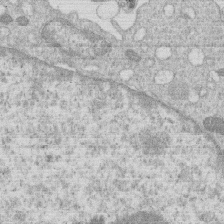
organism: Human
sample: Macrophage cells